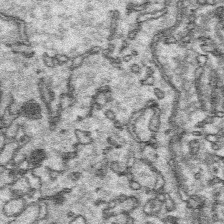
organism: Platynereis dumerilii